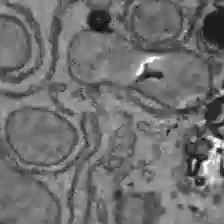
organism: C57BL Mouse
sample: Liver